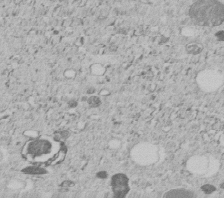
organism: C. elegans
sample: C. elegans embryo early stage